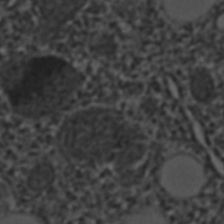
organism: C. elegans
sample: C. elegans embryo